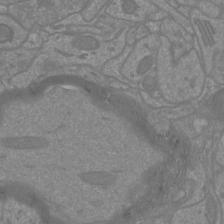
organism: Mouse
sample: Cortical neurons